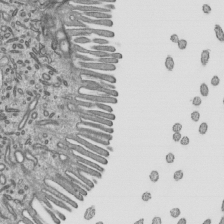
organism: Mouse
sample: Mouse epididymis efferent ductule cilia